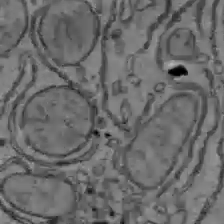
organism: C57BL Mouse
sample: Liver